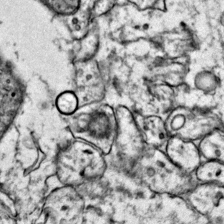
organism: Mouse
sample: Primary visual cortex